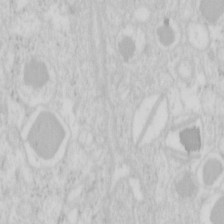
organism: Mouse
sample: Pancreas